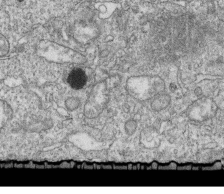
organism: Human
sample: HeLa cell HIV synapse